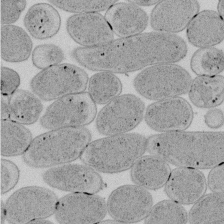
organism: E. coli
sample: Bacterial nucleoid